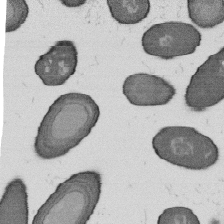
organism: B. subtilis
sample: Bacterial spore